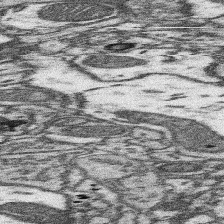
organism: Mouse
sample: Somatosensory cortex neuropil